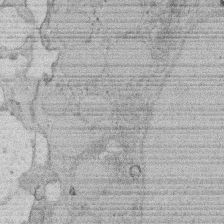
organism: Rat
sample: Salivary granule